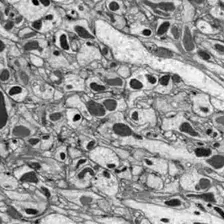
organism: Drosophila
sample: Optic lobe